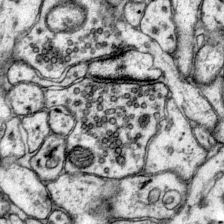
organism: Mouse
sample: Primary visual cortex